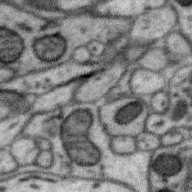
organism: Zebra finch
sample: Brain